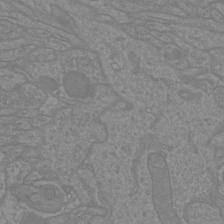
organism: Mouse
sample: Cortical neurons